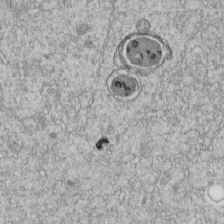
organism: C. elegans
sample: C. elegans embryo early stage